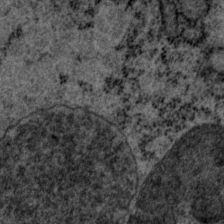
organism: P. pacificus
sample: Pharynx